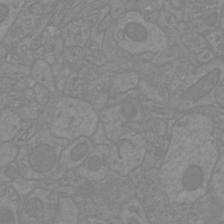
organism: Mouse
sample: Cortical neurons